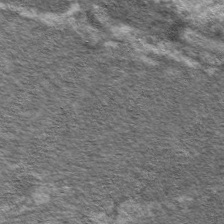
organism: C. elegans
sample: Pharynx